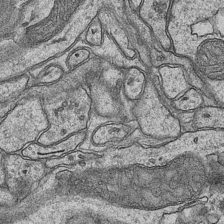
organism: Mouse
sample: CA1 Hippocampus